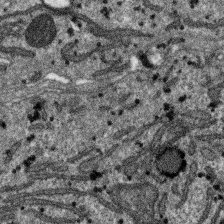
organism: Human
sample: Lung epithelial cells infected with SARS-CoV-2